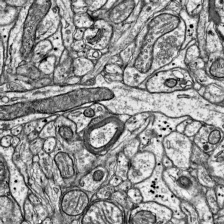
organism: Mouse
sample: Visual Cortex